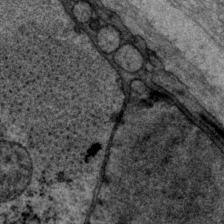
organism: P. pacificus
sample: Pharynx